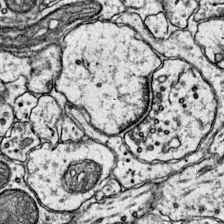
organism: Mouse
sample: Primary visual cortex